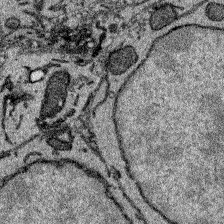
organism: Zebrafish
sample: Larval olfactory bulb